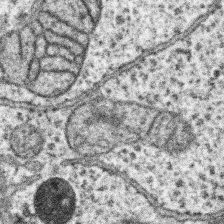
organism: Human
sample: HeLa cells